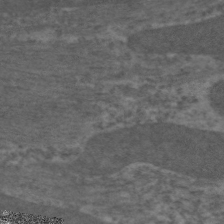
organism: C. elegans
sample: Pharynx